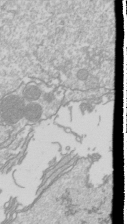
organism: Drosophila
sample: Cell division; meiosis; drosophila spermatocytes